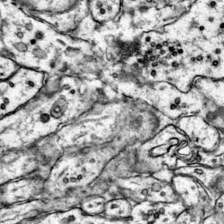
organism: Mouse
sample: Primary visual cortex